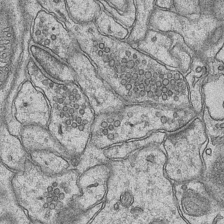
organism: Mouse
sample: CA1 Hippocampus